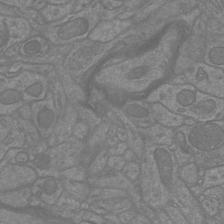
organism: Mouse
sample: Cortical neurons